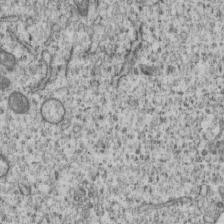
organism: Human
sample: MDA-MB-231 cells